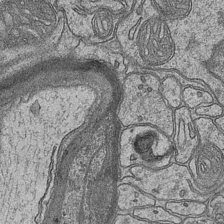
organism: Mouse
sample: CA1 Hippocampus